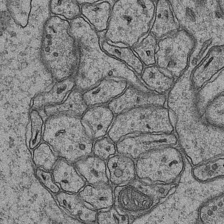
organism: Mouse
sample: CA1 Hippocampus